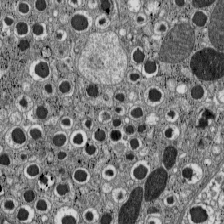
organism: C57BL Mouse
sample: Pancreatic islet